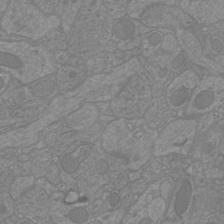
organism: Mouse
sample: Cortical neurons